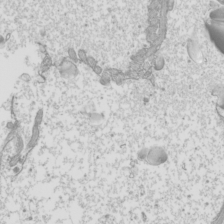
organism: Mouse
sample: Cilia; mouse epididymis